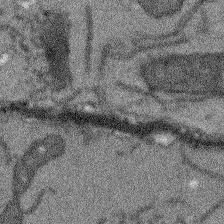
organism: Arabidopsis thaliana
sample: Root tip